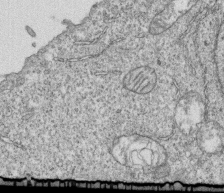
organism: Human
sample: HeLa cell HIV synapse